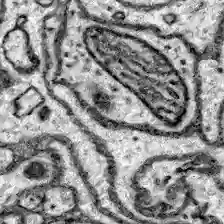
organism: Zebrafish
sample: Brain